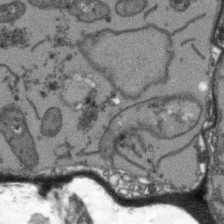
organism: Arabidopsis thaliana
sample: Root tip